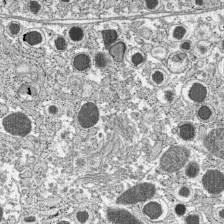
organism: C57BL Mouse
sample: Pancreatic islet